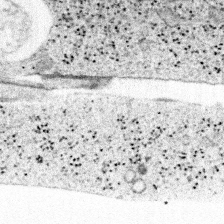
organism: Human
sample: HeLa cells